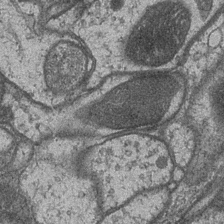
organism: Drosophila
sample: Optic medulla